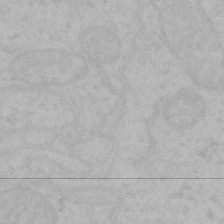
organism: Mouse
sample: Choroid plexus